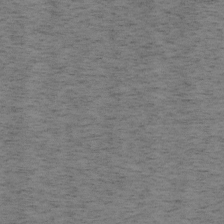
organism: Mouse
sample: OT-I killer T cells with ID8 ovarian cancer cells